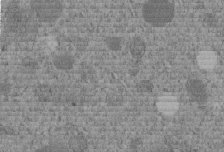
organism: C. elegans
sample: C. elegans embryo early stage